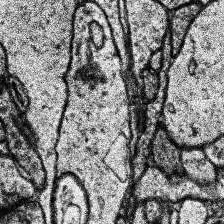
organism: Human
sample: Temporal Lobe